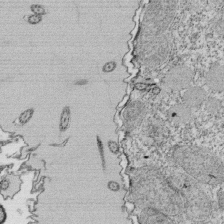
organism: Tetrahymena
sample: Cilia in tetrahymena